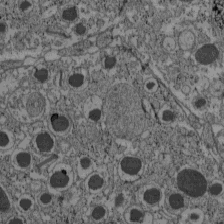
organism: C57BL Mouse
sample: Pancreatic islet